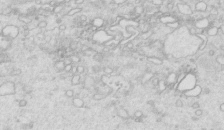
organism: Mouse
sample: Multiciliated cells